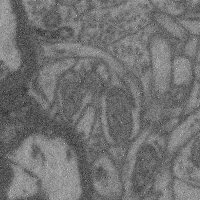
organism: Mouse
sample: Cerebral cortex